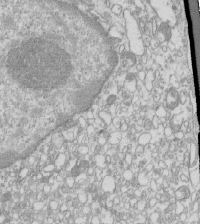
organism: Mouse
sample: Macrophages